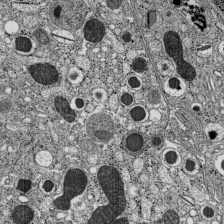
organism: C57BL Mouse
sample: Pancreatic islet